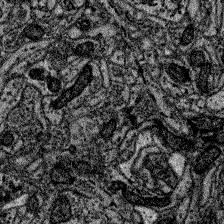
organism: Zebrafish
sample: Larval olfactory bulb